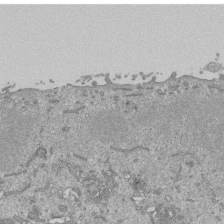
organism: Mouse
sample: ED-1 cell nuclei; centrioles